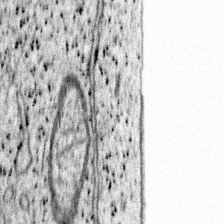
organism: Human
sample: HeLa cells